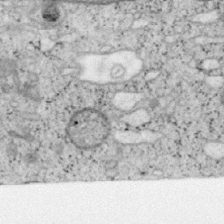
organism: Mouse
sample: OT-I killer T cells with ID8 ovarian cancer cells